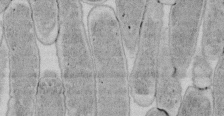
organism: E. coli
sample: Bacterial nucleoid